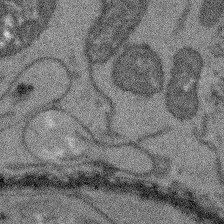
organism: Arabidopsis thaliana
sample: Root tip